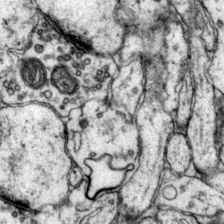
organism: Mouse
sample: Primary visual cortex